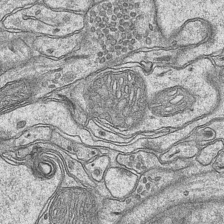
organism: Mouse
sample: CA1 Hippocampus